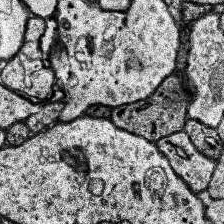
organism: Human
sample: Temporal Lobe